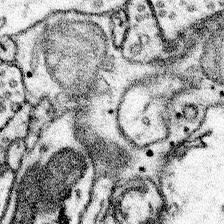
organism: Mouse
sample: Somatosensory cortex neuropil